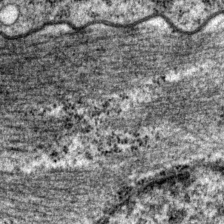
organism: P. pacificus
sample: Pharynx